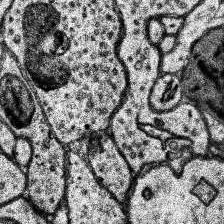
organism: Human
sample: Temporal Lobe